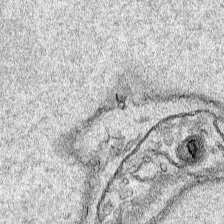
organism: Human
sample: Mitochondria in HCT116 cells